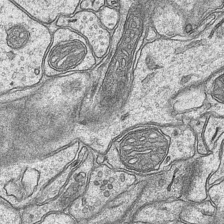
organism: Mouse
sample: CA1 Hippocampus